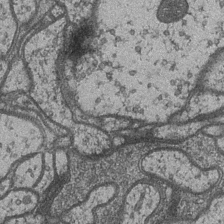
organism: Drosophila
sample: Optic medulla